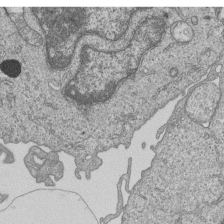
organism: Human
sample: MDA-MB-231 cells